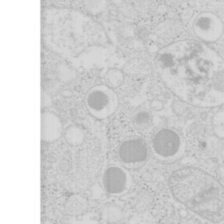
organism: Mouse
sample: Pancreas